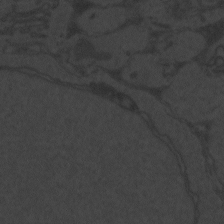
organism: Zebrafish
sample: Macrophage infected with Toxoplasma gondii